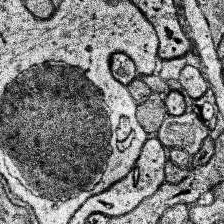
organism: Human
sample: Temporal Lobe